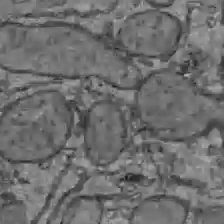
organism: C57BL Mouse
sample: Liver